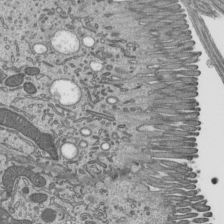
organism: Mouse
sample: Mouse epididymis efferent ductule cilia